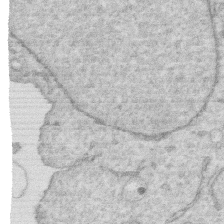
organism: Human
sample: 1205lu cells